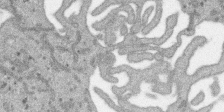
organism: Human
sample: Lung epithelial cells infected with SARS-CoV-2